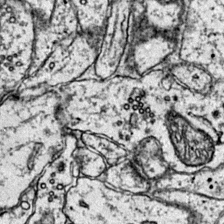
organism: Mouse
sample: Primary visual cortex